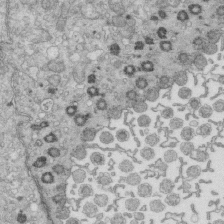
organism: Mouse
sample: Multiciliated cells